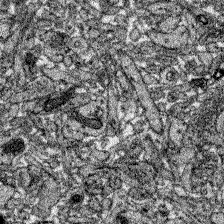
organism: Zebrafish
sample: Larval olfactory bulb